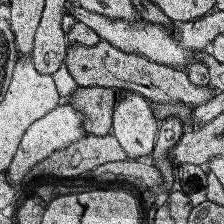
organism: Human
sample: Temporal Lobe